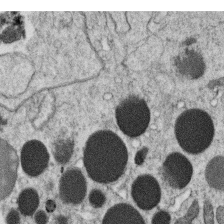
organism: C. elegans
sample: C. elegans oocyte; sperm cells